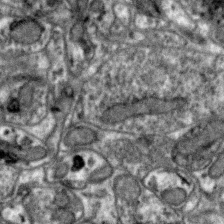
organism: Zebra finch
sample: Brain